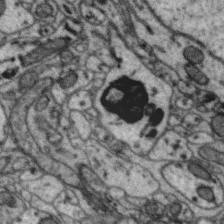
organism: Zebra finch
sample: Brain